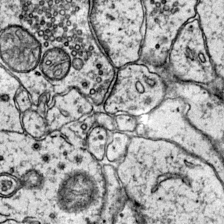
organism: Mouse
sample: Primary visual cortex